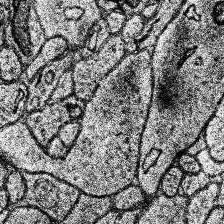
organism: Human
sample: Temporal Lobe